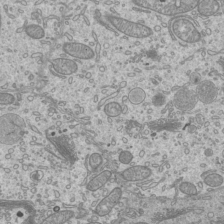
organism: Mouse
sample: Cilia; mouse epididymis